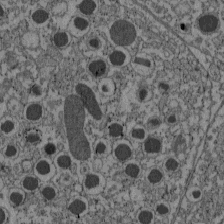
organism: C57BL Mouse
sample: Pancreatic islet